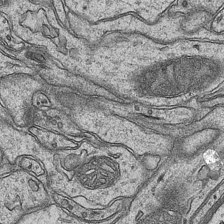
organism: Mouse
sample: CA1 Hippocampus